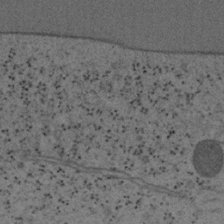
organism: Human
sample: HeLa cells